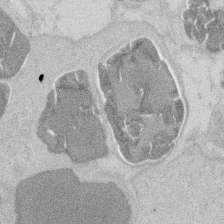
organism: Mouse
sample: T cell stromal cell synapse